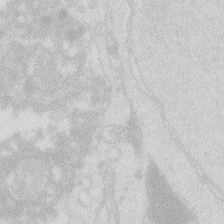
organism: Zebrafish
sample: Macrophage